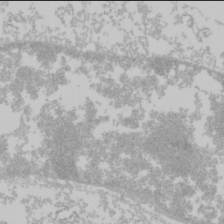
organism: Mouse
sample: Cancer cell death in ED-1 cells